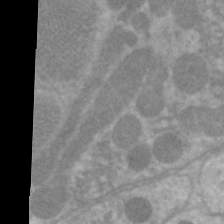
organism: C. elegans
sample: Pharynx